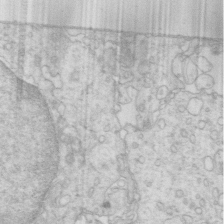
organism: Mouse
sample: Multiciliated cells